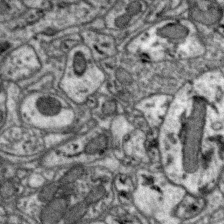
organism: Zebra finch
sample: Brain